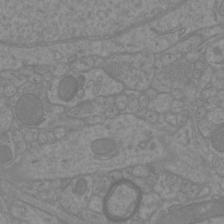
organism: Mouse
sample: Cortical neurons